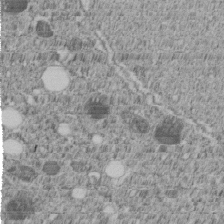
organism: C. elegans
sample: C. elegans embryo early stage